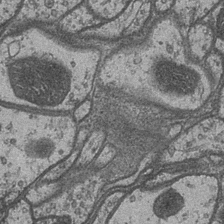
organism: Drosophila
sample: Optic medulla